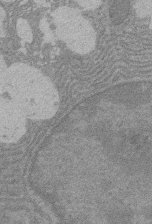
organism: Rat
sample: Salivary granule